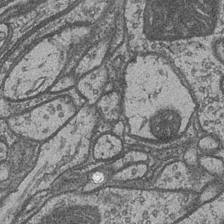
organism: Drosophila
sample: Optic medulla